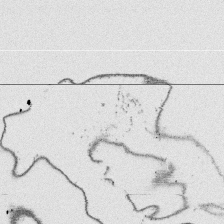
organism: Platynereis dumerilii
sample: Parapodia